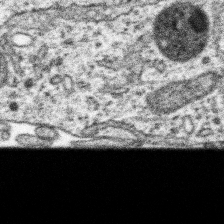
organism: Human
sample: HeLa cells